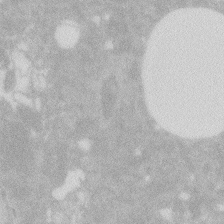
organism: Zebrafish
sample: Macrophage